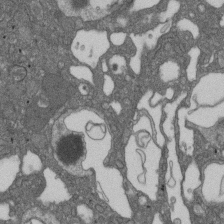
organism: Drosophila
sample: Nephrocyte